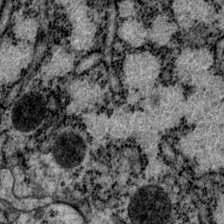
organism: P. pacificus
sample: Pharynx